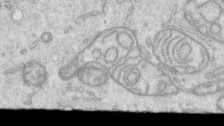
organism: Human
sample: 1205lu cells